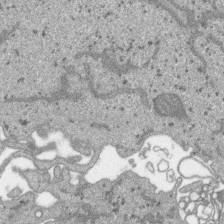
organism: Human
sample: Lung epithelial cells infected with SARS-CoV-2